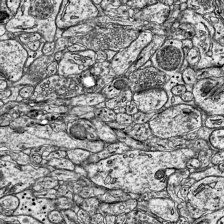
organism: Mouse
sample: Visual Cortex